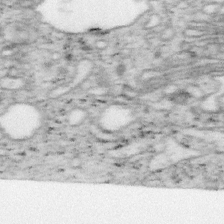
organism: Mouse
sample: OT-I killer T cells with ID8 ovarian cancer cells